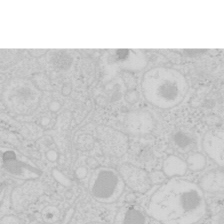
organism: Mouse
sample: Pancreas